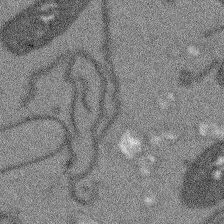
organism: Arabidopsis thaliana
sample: Root tip